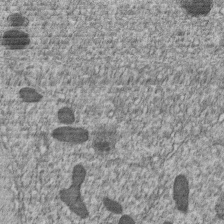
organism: C. elegans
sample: C. elegans embryo early stage